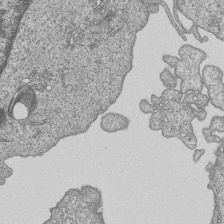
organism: Human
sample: MDA-MB-231 cells